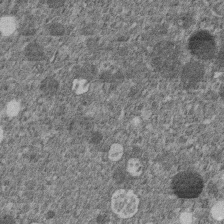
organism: C. elegans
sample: C. elegans embryo early stage